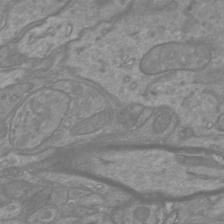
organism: Mouse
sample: Cortical neurons